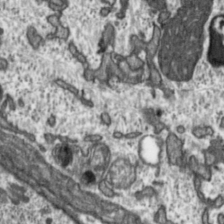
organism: Toxoplasma gondii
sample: Parasites in a vacuole inside a host cell